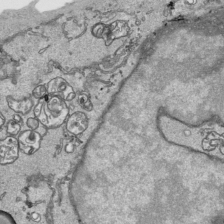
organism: Human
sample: Mitochondria in HCT116 cells